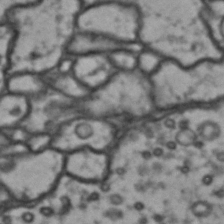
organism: Drosophila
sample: Brain